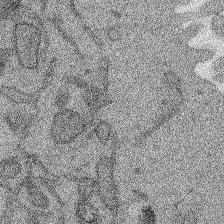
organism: Human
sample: HeLa cells